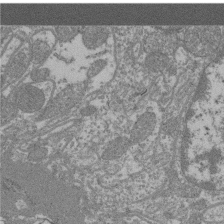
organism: Mouse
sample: Glomerulus